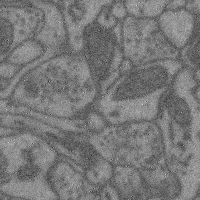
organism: Mouse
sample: Cerebral cortex